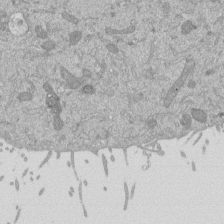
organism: Mouse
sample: ED-1 cell nuclei; centrioles